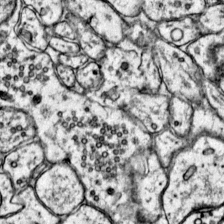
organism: Mouse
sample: Primary visual cortex